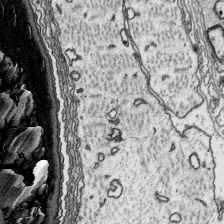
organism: Platynereis dumerilii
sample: Parapodia